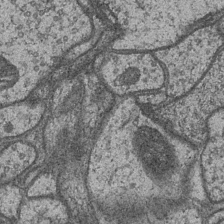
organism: Drosophila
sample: Optic medulla